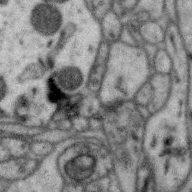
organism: Zebra finch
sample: Brain